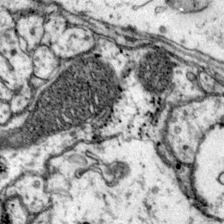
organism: Mouse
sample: Primary visual cortex